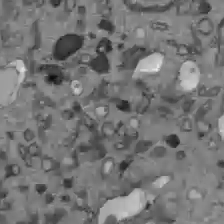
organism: C57BL Mouse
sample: Liver